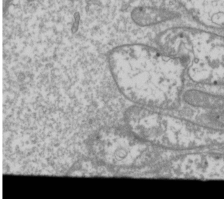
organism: Drosophila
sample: Cell division; meiosis; drosophila spermatocytes